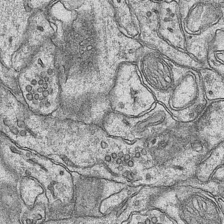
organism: Mouse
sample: CA1 Hippocampus